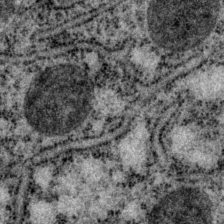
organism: P. pacificus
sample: Pharynx